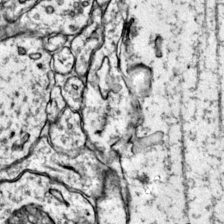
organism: Mouse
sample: Primary visual cortex